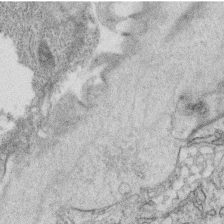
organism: C. elegans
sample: C. elegans oocyte; sperm cells